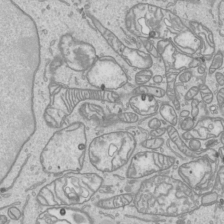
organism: Human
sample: Mitochondria in HCT116 cells